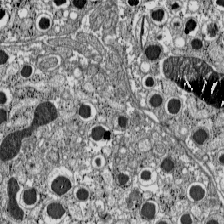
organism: C57BL Mouse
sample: Pancreatic islet